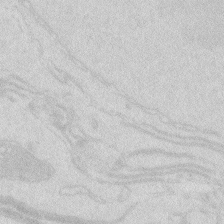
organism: Zebrafish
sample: Macrophage